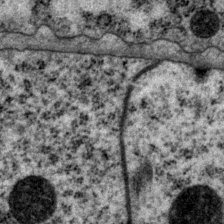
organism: P. pacificus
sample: Pharynx